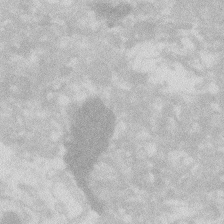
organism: Zebrafish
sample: Macrophage